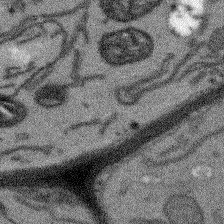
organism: Arabidopsis thaliana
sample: Root tip